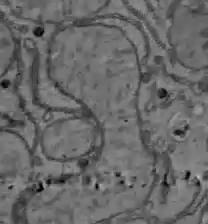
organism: C57BL Mouse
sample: Liver